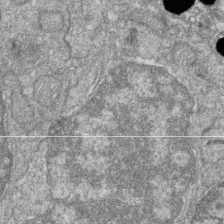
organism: Zebrafish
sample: Cilia; retinal pigment epithelium